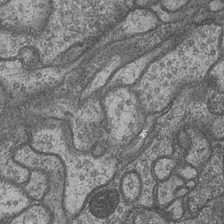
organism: Drosophila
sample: Optic medulla